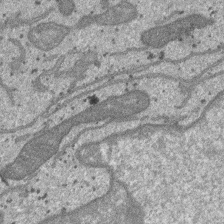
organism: Human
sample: Lung epithelial cells infected with SARS-CoV-2